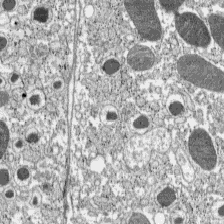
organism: C57BL Mouse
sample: Pancreatic islet